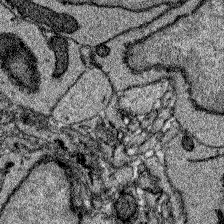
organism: Zebrafish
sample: Larval olfactory bulb